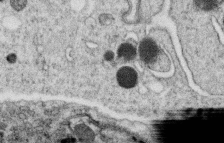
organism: C. elegans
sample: C. elegans oocyte; sperm cells